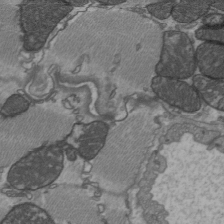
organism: C57BL Mouse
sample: Heart